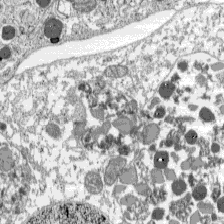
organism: C57BL Mouse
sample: Pancreatic islet